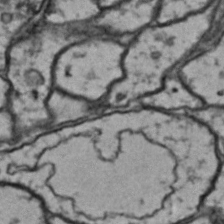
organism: Drosophila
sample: Brain